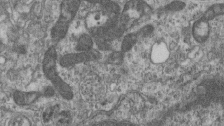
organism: Mouse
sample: Centriole in ependymal cells